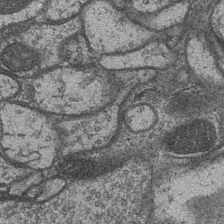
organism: Drosophila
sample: Optic medulla